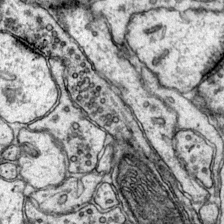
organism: Mouse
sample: Primary visual cortex